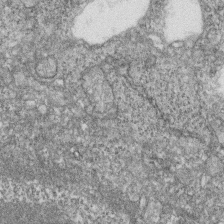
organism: Zebrafish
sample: Cilia; retinal pigment epithelium